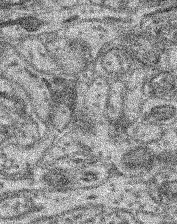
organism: Mouse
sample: Retina